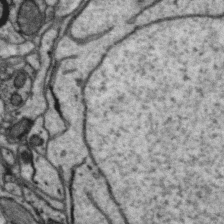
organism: Zebra finch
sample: Brain